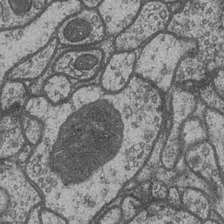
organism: Drosophila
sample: Optic medulla